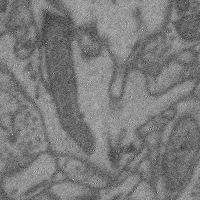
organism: Mouse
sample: Cerebral cortex